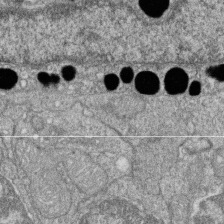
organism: Zebrafish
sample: Cilia; retinal pigment epithelium